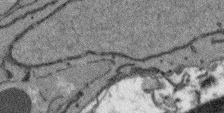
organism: Arabidopsis thaliana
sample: Root tip